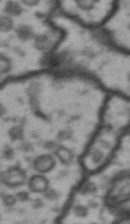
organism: Drosophila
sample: Brain